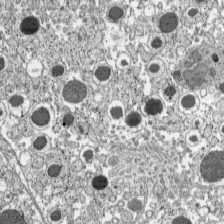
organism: C57BL Mouse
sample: Pancreatic islet